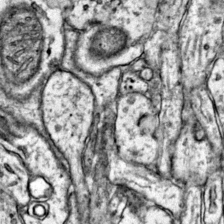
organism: Mouse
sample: Primary visual cortex